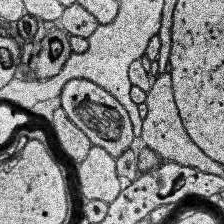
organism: Human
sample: Temporal Lobe